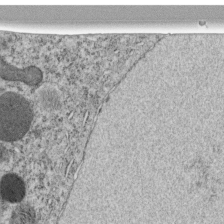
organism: C. elegans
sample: C. elegans embryo early stage